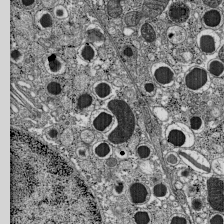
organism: C57BL Mouse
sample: Pancreatic islet